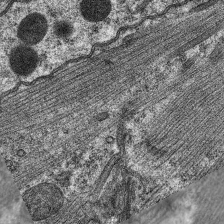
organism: C. elegans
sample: Pharynx